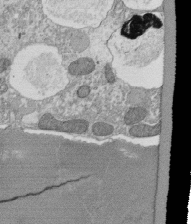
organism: Tetrahymena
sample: Cilia in tetrahymena